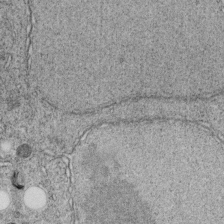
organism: C. elegans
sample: C. elegans embryo early stage